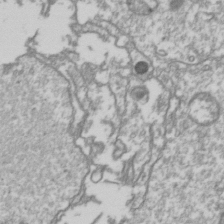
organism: Drosophila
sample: Cell division; meiosis; drosophila spermatocytes